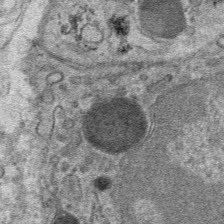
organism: Mouse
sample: Mouse hepatocytes